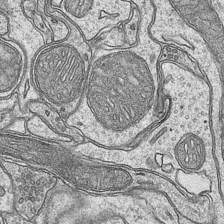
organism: Mouse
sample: CA1 Hippocampus